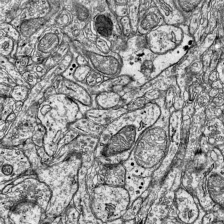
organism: Mouse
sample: Visual Cortex